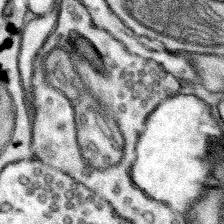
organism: Mouse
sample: Somatosensory cortex neuropil